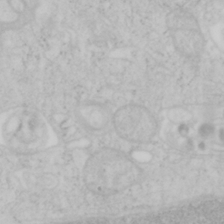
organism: Mouse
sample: OT-I killer T cells with ID8 ovarian cancer cells